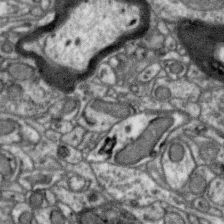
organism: Zebra finch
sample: Brain